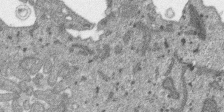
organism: Human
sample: Lung epithelial cells infected with SARS-CoV-2